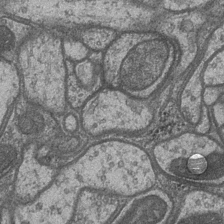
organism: Drosophila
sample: Optic medulla